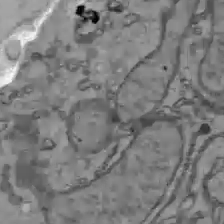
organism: C57BL Mouse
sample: Liver